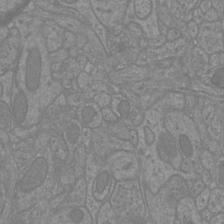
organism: Mouse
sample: Cortical neurons